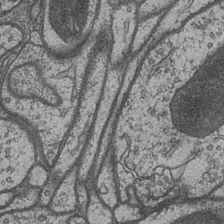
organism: Drosophila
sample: Optic medulla